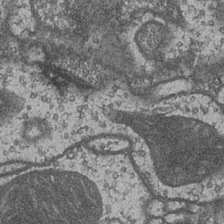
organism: Drosophila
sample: Optic medulla